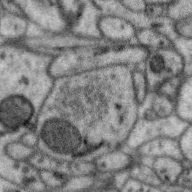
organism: Zebra finch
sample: Brain